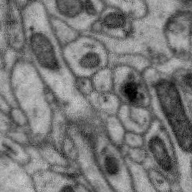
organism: Zebra finch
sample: Brain